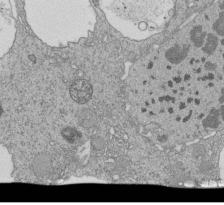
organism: Tetrahymena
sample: Cilia in tetrahymena